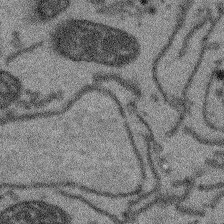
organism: Arabidopsis thaliana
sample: Root tip